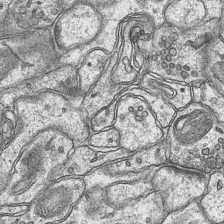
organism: Mouse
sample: CA1 Hippocampus